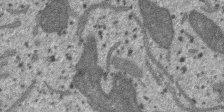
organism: Human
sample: Lung epithelial cells infected with SARS-CoV-2